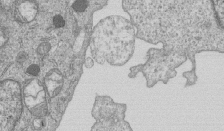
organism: Human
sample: MDA-MB-231 cells